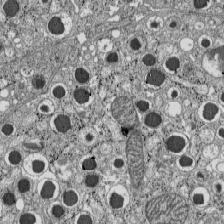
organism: C57BL Mouse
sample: Pancreatic islet